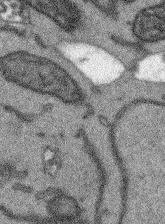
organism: Arabidopsis thaliana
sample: Root tip